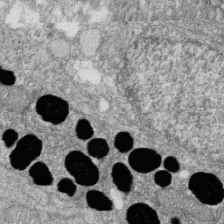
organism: Zebrafish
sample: Cilia; retinal pigment epithelium